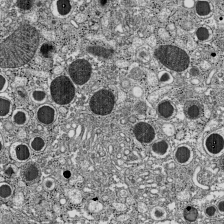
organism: C57BL Mouse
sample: Pancreatic islet